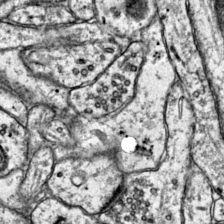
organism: Mouse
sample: Primary visual cortex